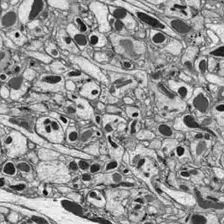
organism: Drosophila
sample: Optic lobe